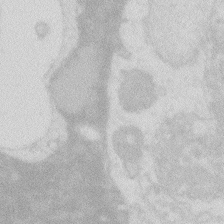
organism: Zebrafish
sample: Macrophage